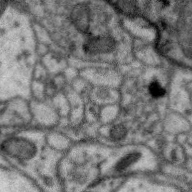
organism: Zebra finch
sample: Brain